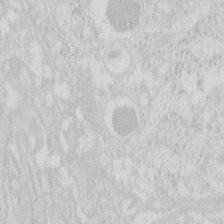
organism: Mouse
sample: Pancreas